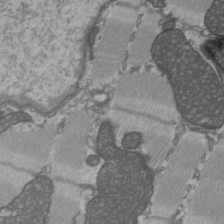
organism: C57BL Mouse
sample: Heart